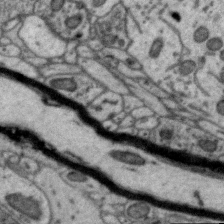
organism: Zebra finch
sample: Brain